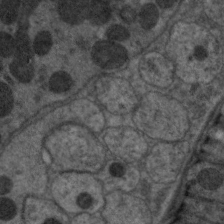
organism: C. elegans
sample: Pharynx